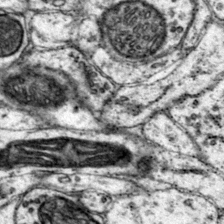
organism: Mouse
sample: Primary visual cortex